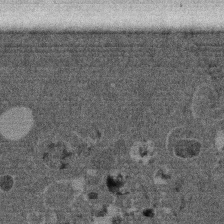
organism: Mouse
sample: Dividing mouse embryo 1 cell stage